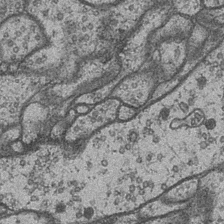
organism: Drosophila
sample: Optic medulla